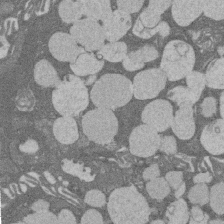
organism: Rat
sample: Salivary granule